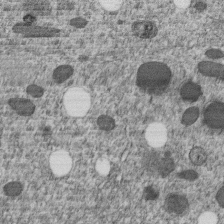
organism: C. elegans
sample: C. elegans embryo early stage